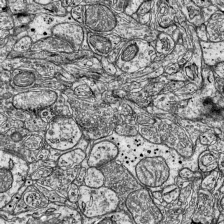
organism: Mouse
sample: Visual Cortex